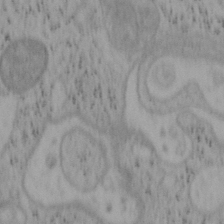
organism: Mouse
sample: OT-I killer T cells with ID8 ovarian cancer cells